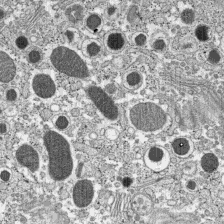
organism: C57BL Mouse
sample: Pancreatic islet